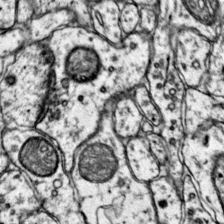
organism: Mouse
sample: Primary visual cortex